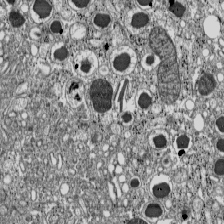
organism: C57BL Mouse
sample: Pancreatic islet